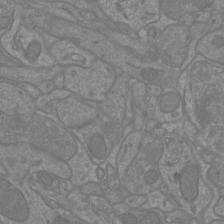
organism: Mouse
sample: Cortical neurons